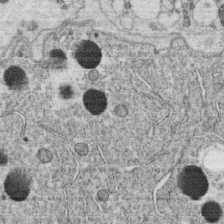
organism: C. elegans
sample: C. elegans oocyte; sperm cells